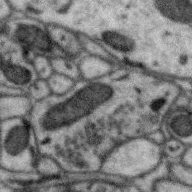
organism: Zebra finch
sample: Brain